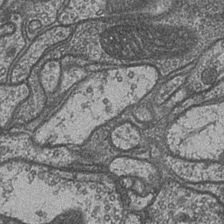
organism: Drosophila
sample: Optic medulla